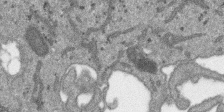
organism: Human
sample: Lung epithelial cells infected with SARS-CoV-2